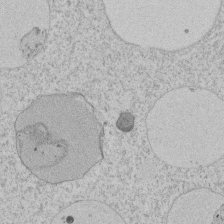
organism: Tetrahymena